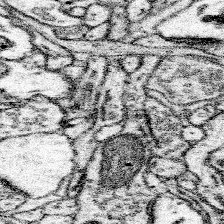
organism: Mouse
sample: Somatosensory cortex neuropil